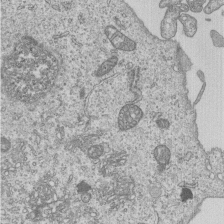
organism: Human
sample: MDA-MB-231 cells